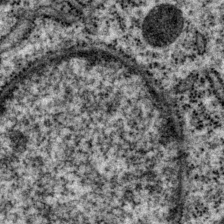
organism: P. pacificus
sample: Pharynx